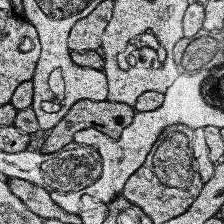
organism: Human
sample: Temporal Lobe